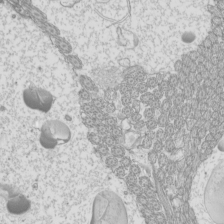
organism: Mouse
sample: Cilia; mouse epididymis